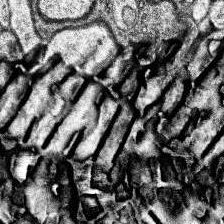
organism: Human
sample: Temporal Lobe